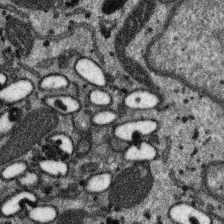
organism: Human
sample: Lung epithelial cells infected with SARS-CoV-2